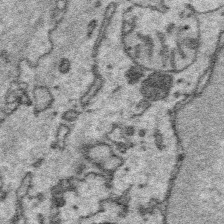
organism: Platynereis dumerilii